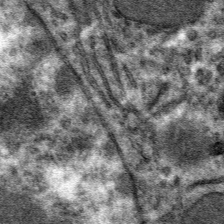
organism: Mouse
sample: Mouse hepatocytes